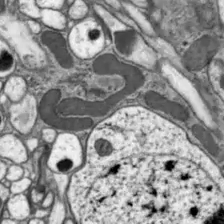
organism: Drosophila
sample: Optic lobe